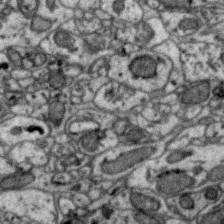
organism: Zebra finch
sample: Brain